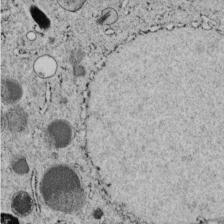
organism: C. elegans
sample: C. elegans embryo early stage